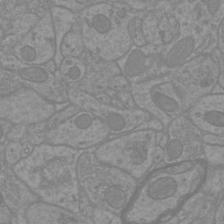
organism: Mouse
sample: Cortical neurons